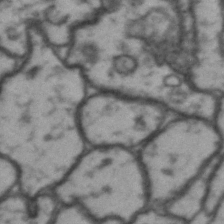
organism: Drosophila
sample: Brain